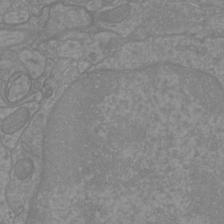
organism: Mouse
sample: Cortical neurons